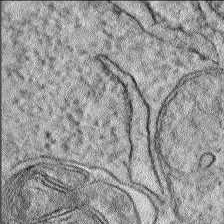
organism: Human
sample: HeLa cells